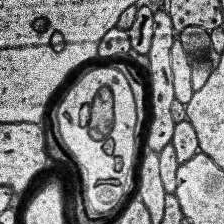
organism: Human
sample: Temporal Lobe